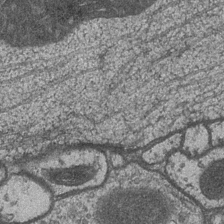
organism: Drosophila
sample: Optic medulla